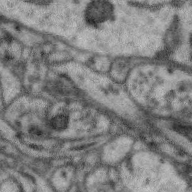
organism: Zebra finch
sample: Brain